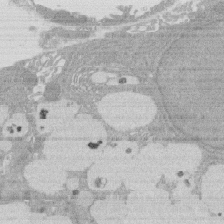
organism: Rat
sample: Salivary granule